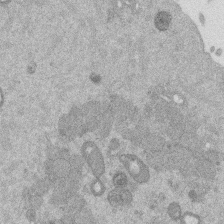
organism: Mouse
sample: Dividing mouse embryo 1 cell stage